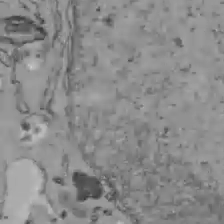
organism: C57BL Mouse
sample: Liver